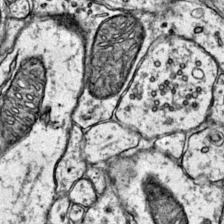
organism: Mouse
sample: Primary visual cortex